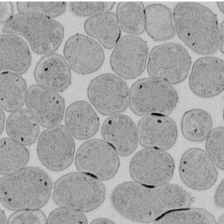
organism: E. coli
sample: Bacterial nucleoid